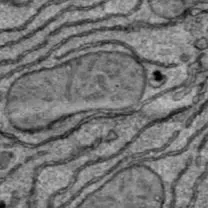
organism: C57BL Mouse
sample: Liver